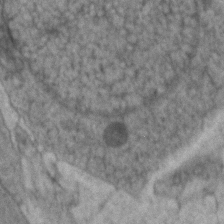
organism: Zebrafish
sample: Zebrafish embryo